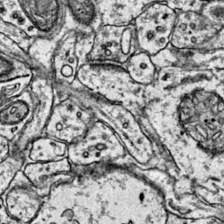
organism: Mouse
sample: Primary visual cortex